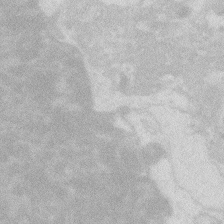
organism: Zebrafish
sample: Macrophage